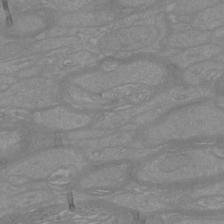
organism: Mouse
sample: Cortical neurons